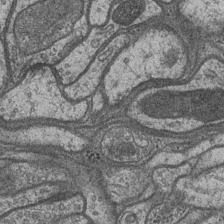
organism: Drosophila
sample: Optic medulla